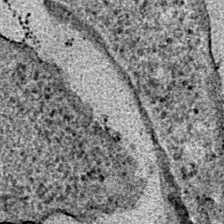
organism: E. coli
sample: E. Coli Bacteria